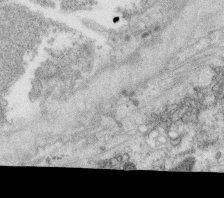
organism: C. elegans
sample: C. elegans oocyte; sperm cells